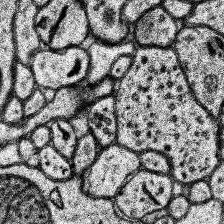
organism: Human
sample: Temporal Lobe